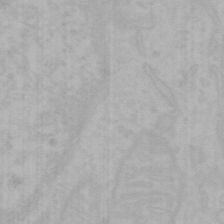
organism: Mouse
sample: Choroid plexus